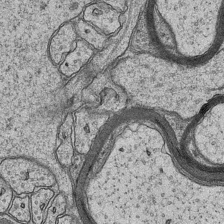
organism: Mouse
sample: CA1 Hippocampus